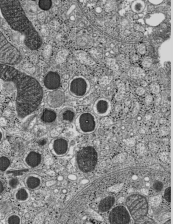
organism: C57BL Mouse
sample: Pancreatic islet